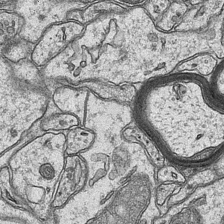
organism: Mouse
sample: CA1 Hippocampus